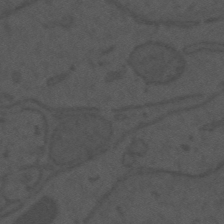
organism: Mouse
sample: Suprachiasmatic nucleus